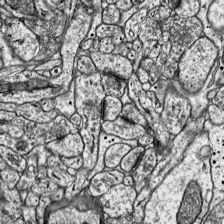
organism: Mouse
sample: Visual Cortex